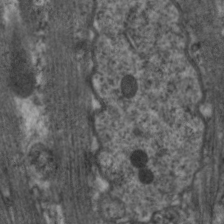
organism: C. elegans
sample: Pharynx